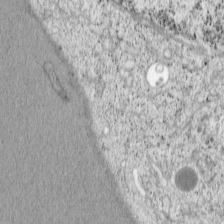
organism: African green monkey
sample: COS-7 cells